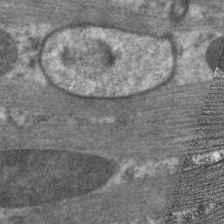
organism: C. elegans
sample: Pharynx